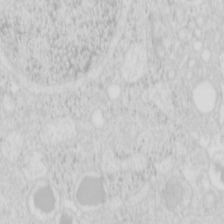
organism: Mouse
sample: Pancreas